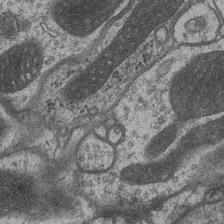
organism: Drosophila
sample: Optic medulla